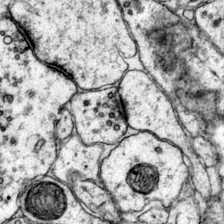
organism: Mouse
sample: Primary visual cortex